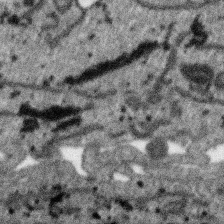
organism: Human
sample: Lung epithelial cells infected with SARS-CoV-2